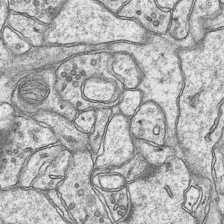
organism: Mouse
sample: CA1 Hippocampus